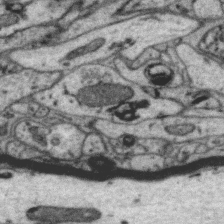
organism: Zebra finch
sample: Brain